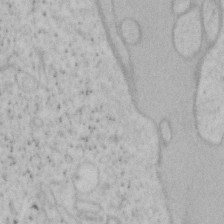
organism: Human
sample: HeLa cells